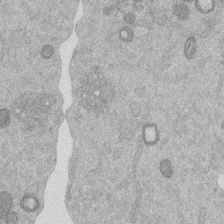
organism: Mouse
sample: Dividing mouse embryo 1 cell stage